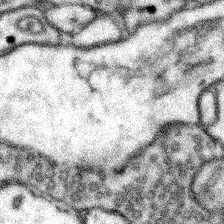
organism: Mouse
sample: Somatosensory cortex neuropil